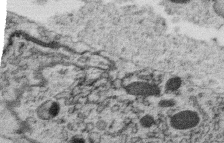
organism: C. elegans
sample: C. elegans oocyte; sperm cells